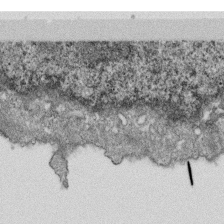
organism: African green monkey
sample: Vero E6 cells infected with SARS-CoV-2